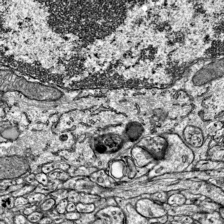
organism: Mouse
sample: Visual Cortex